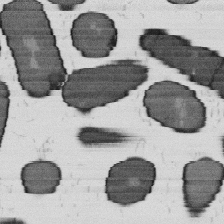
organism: B. subtilis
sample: Bacterial spore